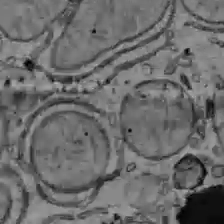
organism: C57BL Mouse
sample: Liver